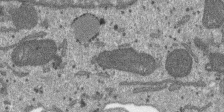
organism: Human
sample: Lung epithelial cells infected with SARS-CoV-2